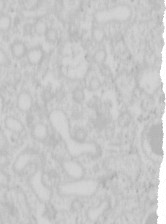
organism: Mouse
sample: Pancreas